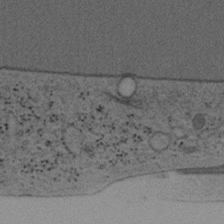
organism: Human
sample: HeLa cells